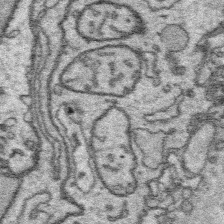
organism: Platynereis dumerilii